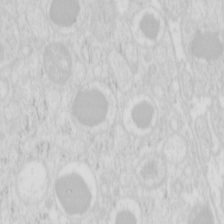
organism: Mouse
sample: Pancreas